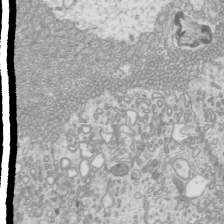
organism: Mouse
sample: Cilia; mouse epididymis